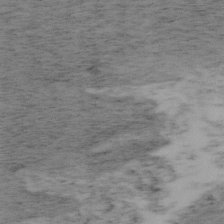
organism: Mouse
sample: OT-I killer T cells with ID8 ovarian cancer cells